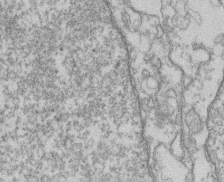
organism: Mouse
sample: T cell stromal cell synapse